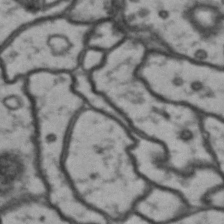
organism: Drosophila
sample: Brain